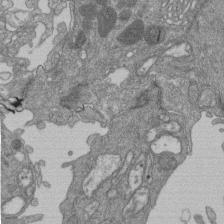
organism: Human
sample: Retinal organoid Rod and Cone cells